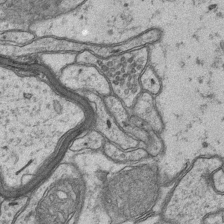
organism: Mouse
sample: CA1 Hippocampus